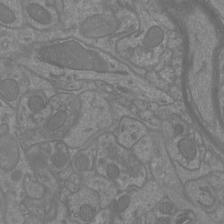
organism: Mouse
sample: Cortical neurons